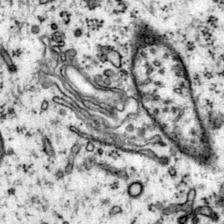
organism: Mouse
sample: Primary visual cortex